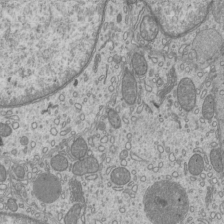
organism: Mouse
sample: Cilia; mouse epididymis